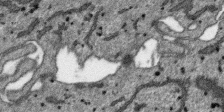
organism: Human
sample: Lung epithelial cells, uninfected (mock) control